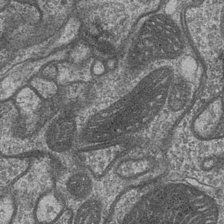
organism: Drosophila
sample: Optic medulla